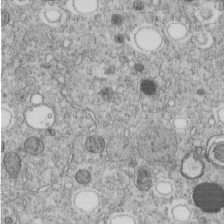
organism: C. elegans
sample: C. elegans embryo early stage